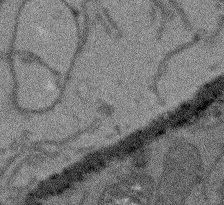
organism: Arabidopsis thaliana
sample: Root tip